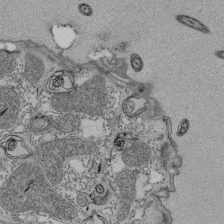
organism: Tetrahymena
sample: Cilia in tetrahymena